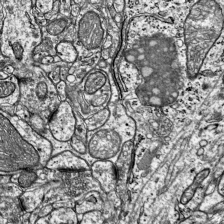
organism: Mouse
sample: Visual Cortex